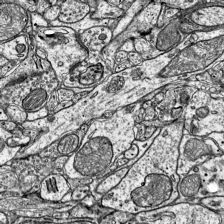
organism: Mouse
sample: Visual Cortex